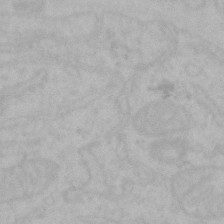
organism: Mouse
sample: Choroid plexus